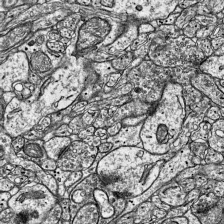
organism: Mouse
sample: Visual Cortex